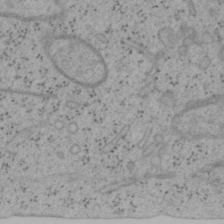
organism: Human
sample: HeLa cells